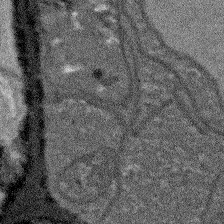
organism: Arabidopsis thaliana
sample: Root tip